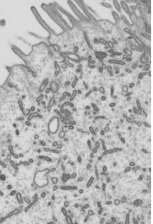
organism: Mouse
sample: Mouse epididymis efferent ductule cilia